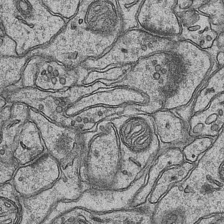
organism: Mouse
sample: CA1 Hippocampus